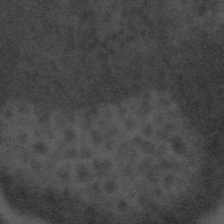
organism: Tuwongella immobilis